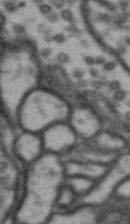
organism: Drosophila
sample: Brain